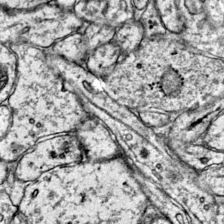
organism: Mouse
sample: Primary visual cortex